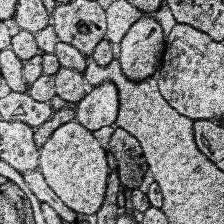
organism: Human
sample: Temporal Lobe